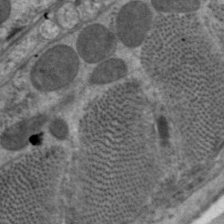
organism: C. elegans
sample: Pharynx